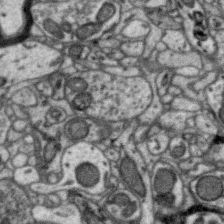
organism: Zebra finch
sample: Brain